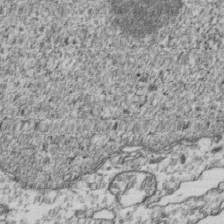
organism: Human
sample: Activated Jurkat CD4+ T cells